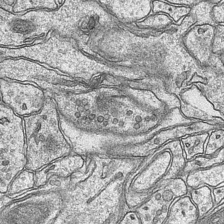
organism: Mouse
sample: CA1 Hippocampus